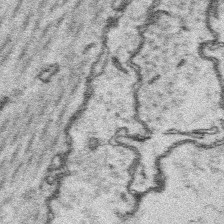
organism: Platynereis dumerilii